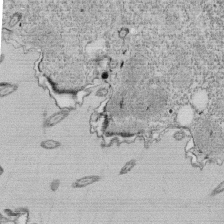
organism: Tetrahymena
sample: Cilia in tetrahymena